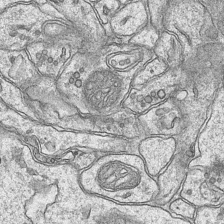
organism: Mouse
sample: CA1 Hippocampus